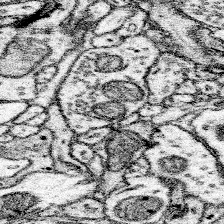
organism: Mouse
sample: Somatosensory cortex neuropil